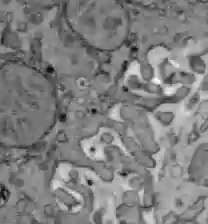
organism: C57BL Mouse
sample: Liver